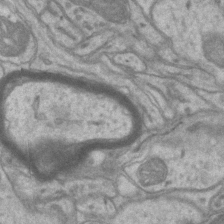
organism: Mouse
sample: CA1 Hippocampus